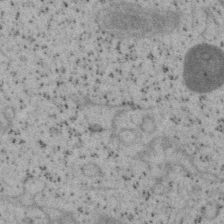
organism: Human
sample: HeLa cells